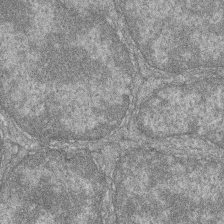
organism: Zebrafish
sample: Cilia; retinal pigment epithelium